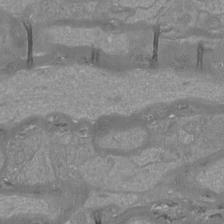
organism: Mouse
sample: Cortical neurons